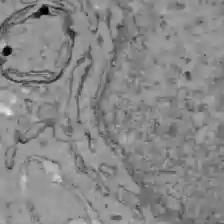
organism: C57BL Mouse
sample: Liver